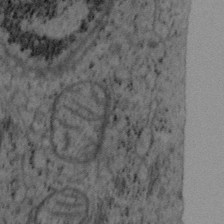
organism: Human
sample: HeLa cells